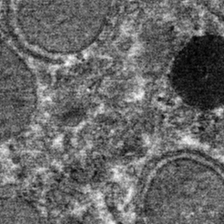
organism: Mouse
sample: Mouse hepatocytes